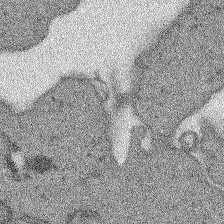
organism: Human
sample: HeLa cells